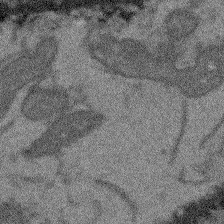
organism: Arabidopsis thaliana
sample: Root tip